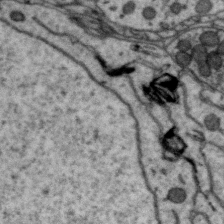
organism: Zebra finch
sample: Brain